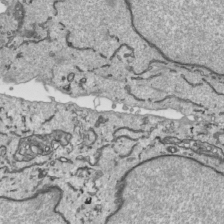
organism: Human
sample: Mitochondria in HCT116 cells